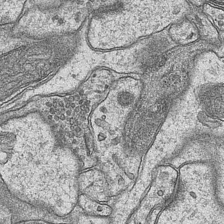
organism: Mouse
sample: CA1 Hippocampus